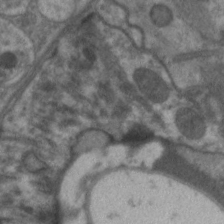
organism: C. elegans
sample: Pharynx